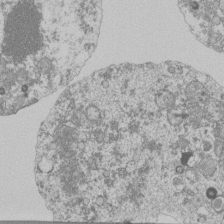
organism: Mouse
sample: Activated Pmel transgenic CD8+ T Cells